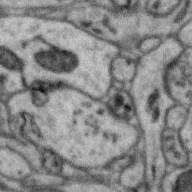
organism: Zebra finch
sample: Brain